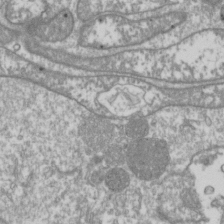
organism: Drosophila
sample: Cell division; meiosis; drosophila spermatocytes